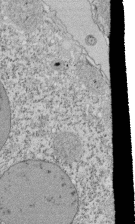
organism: Tetrahymena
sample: Cilia in tetrahymena